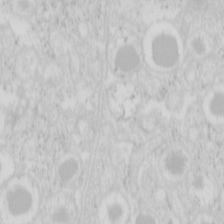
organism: Mouse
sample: Pancreas